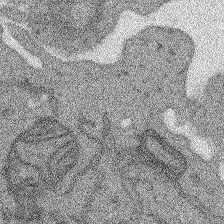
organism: Human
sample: HeLa cells